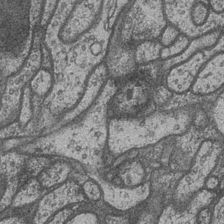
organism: Drosophila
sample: Optic medulla